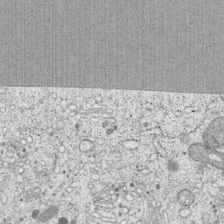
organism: African green monkey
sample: COS-7 cells